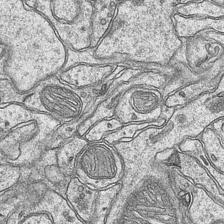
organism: Mouse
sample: CA1 Hippocampus